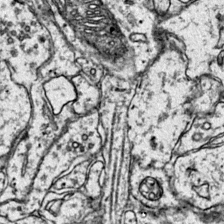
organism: Mouse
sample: Primary visual cortex